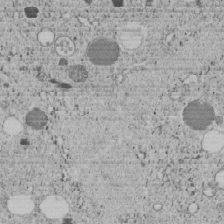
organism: C. elegans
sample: C. elegans embryo early stage